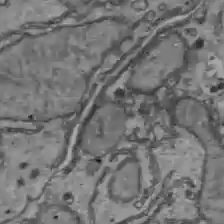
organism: C57BL Mouse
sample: Liver